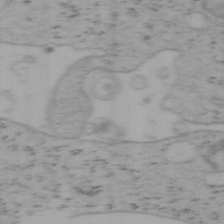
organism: Mouse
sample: OT-I killer T cells with ID8 ovarian cancer cells